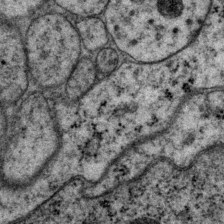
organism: P. pacificus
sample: Pharynx